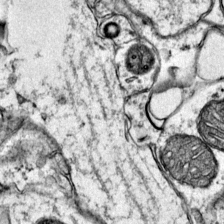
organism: Mouse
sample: Primary visual cortex